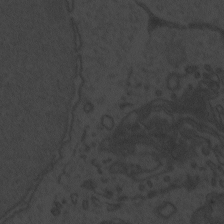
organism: Zebrafish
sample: Macrophage infected with Toxoplasma gondii